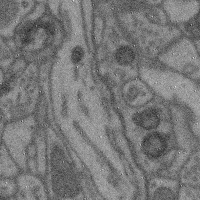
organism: Mouse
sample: Cerebral cortex